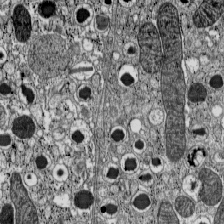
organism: C57BL Mouse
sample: Pancreatic islet